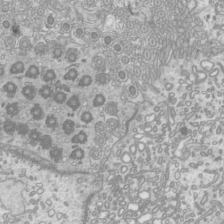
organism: Mouse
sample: Cilia; mouse epididymis